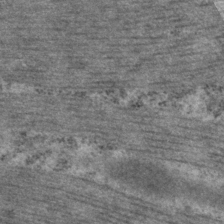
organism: P. pacificus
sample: Pharynx